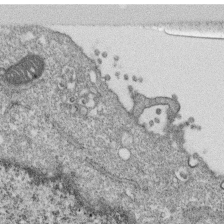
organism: African green monkey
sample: Vero E6 cells infected with SARS-CoV-2